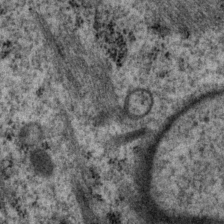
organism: P. pacificus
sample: Pharynx